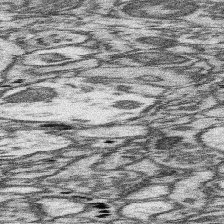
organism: Mouse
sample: Somatosensory cortex neuropil